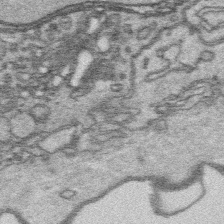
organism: Platynereis dumerilii